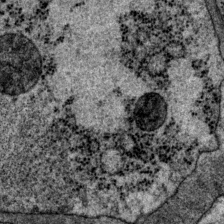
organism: P. pacificus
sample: Pharynx